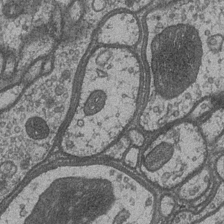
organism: Drosophila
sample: Optic medulla